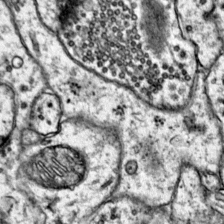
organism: Mouse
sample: Primary visual cortex